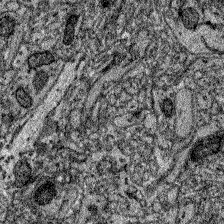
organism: Zebrafish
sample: Larval olfactory bulb